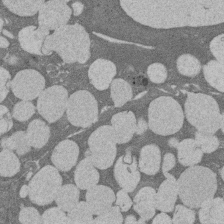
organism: Rat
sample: Salivary granule